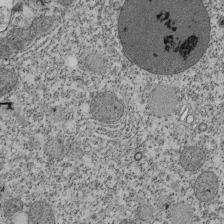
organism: Tetrahymena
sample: Cilia in tetrahymena